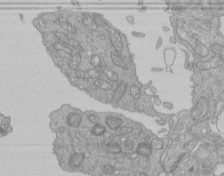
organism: Human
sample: Retinal organoid Rod and Cone cells